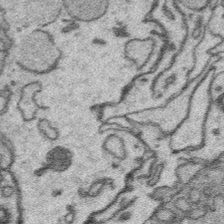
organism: Platynereis dumerilii